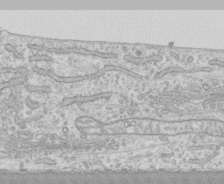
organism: Human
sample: CRL-1474